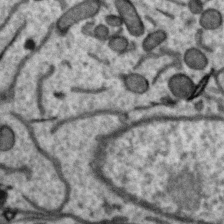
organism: Zebra finch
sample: Brain